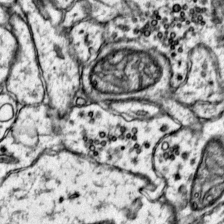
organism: Mouse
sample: Primary visual cortex